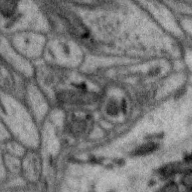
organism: Zebra finch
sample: Brain